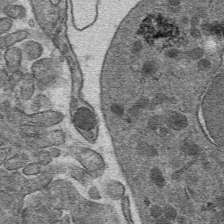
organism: Mouse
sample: Mouse hepatocytes